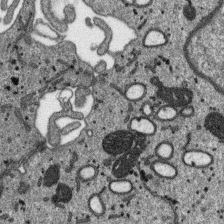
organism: Human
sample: Lung epithelial cells infected with SARS-CoV-2